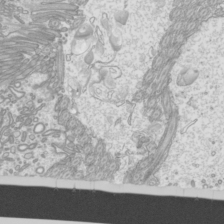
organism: Mouse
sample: Cilia; mouse epididymis